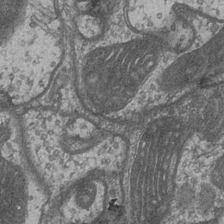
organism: Drosophila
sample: Optic medulla